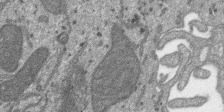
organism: Human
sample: Lung epithelial cells infected with SARS-CoV-2